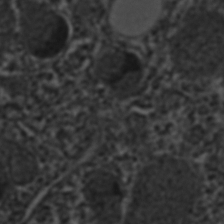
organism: C. elegans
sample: C. elegans embryo